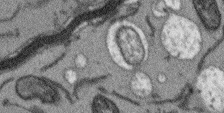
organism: Arabidopsis thaliana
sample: Root tip